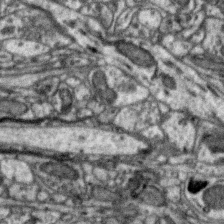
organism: Zebra finch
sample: Brain